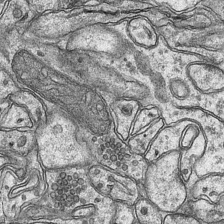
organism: Mouse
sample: CA1 Hippocampus